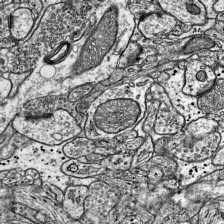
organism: Mouse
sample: Visual Cortex